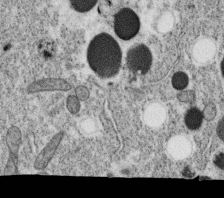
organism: C. elegans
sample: C. elegans oocyte; sperm cells